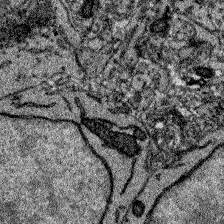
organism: Zebrafish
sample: Larval olfactory bulb